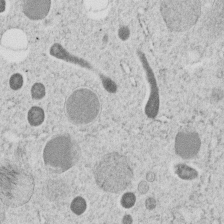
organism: C. elegans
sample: C. elegans embryo early stage